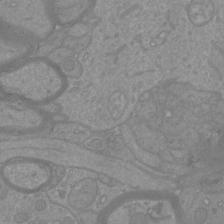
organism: Mouse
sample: Cortical neurons